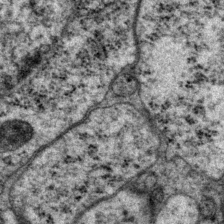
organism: P. pacificus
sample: Pharynx